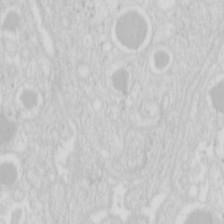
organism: Mouse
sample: Pancreas